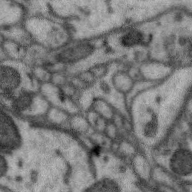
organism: Zebra finch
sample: Brain